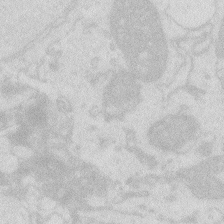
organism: Zebrafish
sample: Macrophage